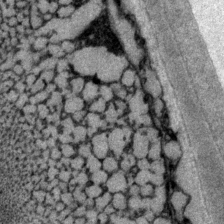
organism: P. pacificus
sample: Pharynx